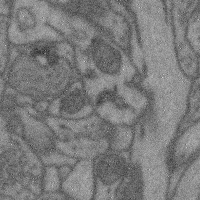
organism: Mouse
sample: Cerebral cortex